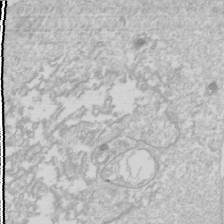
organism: Drosophila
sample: Cell division; meiosis; drosophila spermatocytes